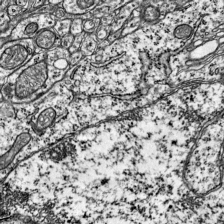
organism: Mouse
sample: Visual Cortex